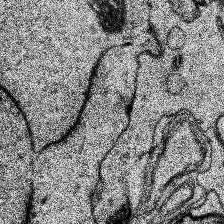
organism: Human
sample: Temporal Lobe